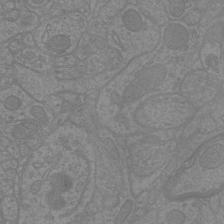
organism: Mouse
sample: Cortical neurons